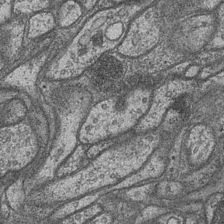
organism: Drosophila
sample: Optic medulla